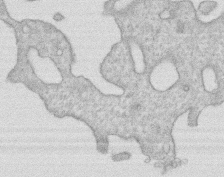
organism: Human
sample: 1205lu cells